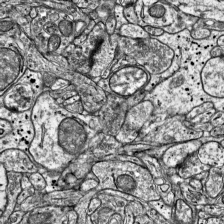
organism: Mouse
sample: Visual Cortex